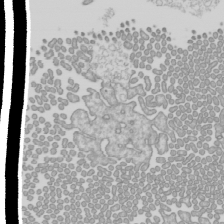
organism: Mouse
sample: Cilia; mouse epididymis